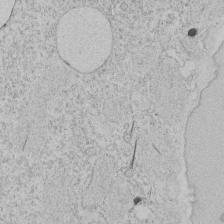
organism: Tetrahymena